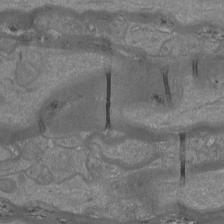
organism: Mouse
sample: Cortical neurons